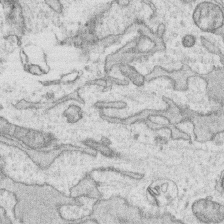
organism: Human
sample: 1205lu cells